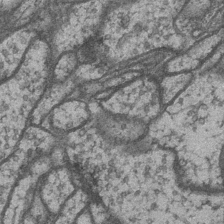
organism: Drosophila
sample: Optic medulla